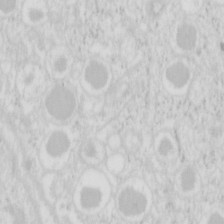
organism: Mouse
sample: Pancreas